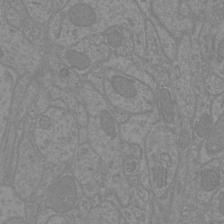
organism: Mouse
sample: Cortical neurons